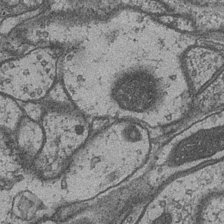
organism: Drosophila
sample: Optic medulla